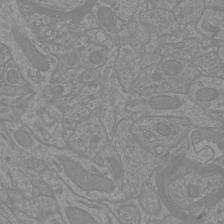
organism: Mouse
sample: Cortical neurons